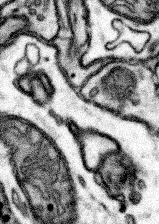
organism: Mouse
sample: Somatosensory cortex neuropil